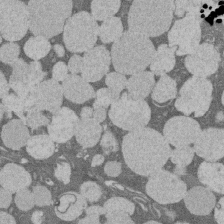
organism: Rat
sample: Salivary granule